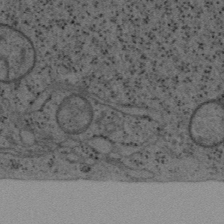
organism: Human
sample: HeLa cells